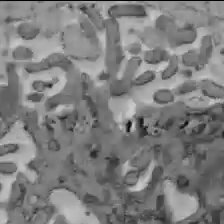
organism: C57BL Mouse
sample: Liver